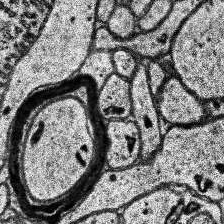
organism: Human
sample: Temporal Lobe